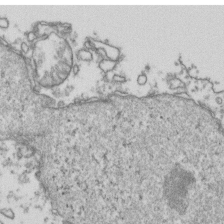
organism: Human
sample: Activated Jurkat CD4+ T cells